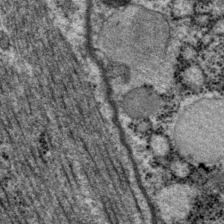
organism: P. pacificus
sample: Pharynx